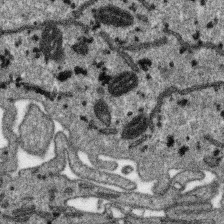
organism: Human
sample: Lung epithelial cells infected with SARS-CoV-2